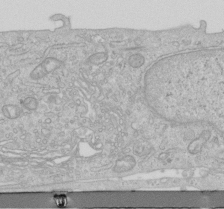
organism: Human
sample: Centriole in RPE cells